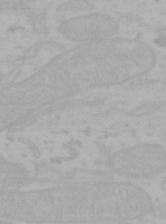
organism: Mouse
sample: Choroid plexus